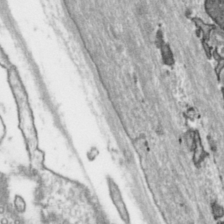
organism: Toxoplasma gondii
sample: Parasites in a vacuole inside a host cell